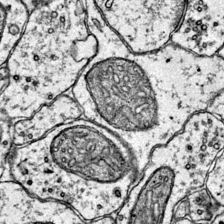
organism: Mouse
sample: Primary visual cortex